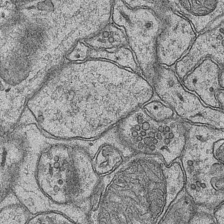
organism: Mouse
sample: CA1 Hippocampus